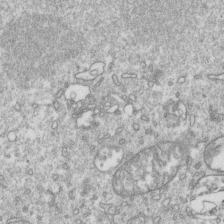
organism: Mouse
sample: Activated OT-1 CD8+ T cells